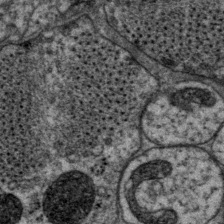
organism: P. pacificus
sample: Pharynx